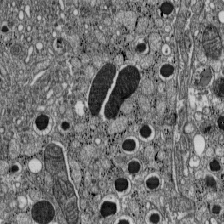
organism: C57BL Mouse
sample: Pancreatic islet